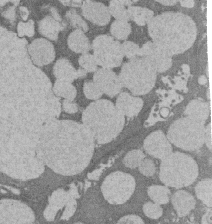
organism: Rat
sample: Salivary granule